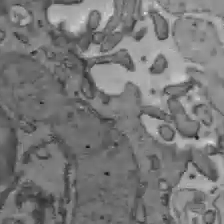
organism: C57BL Mouse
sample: Liver